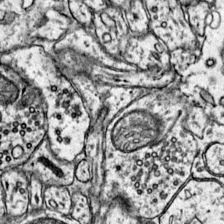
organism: Mouse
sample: Primary visual cortex